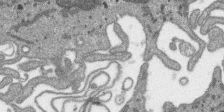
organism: Human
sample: Lung epithelial cells infected with SARS-CoV-2